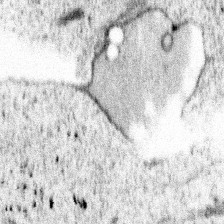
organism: Human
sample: HeLa cells